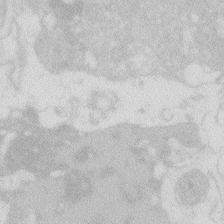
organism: Zebrafish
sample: Macrophage